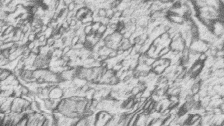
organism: Zebrafish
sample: synaptic ribbons in rod cells and cone cells